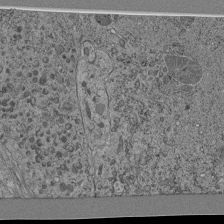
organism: C. elegans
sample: C. elegans pharynx